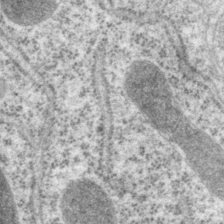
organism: P. pacificus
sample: Pharynx